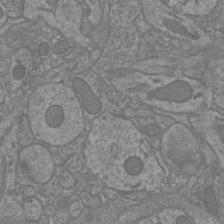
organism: Mouse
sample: Cortical neurons